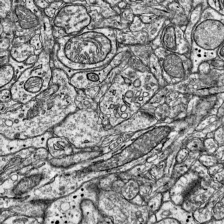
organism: Mouse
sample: Visual Cortex